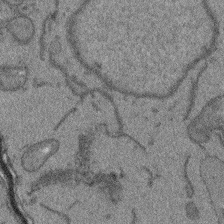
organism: Arabidopsis thaliana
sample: Root tip